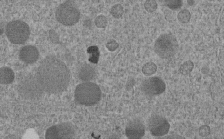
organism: C. elegans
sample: C. elegans embryo early stage